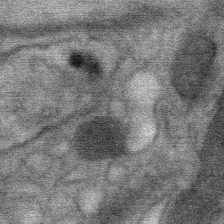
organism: Mouse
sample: Mouse Salivary gland